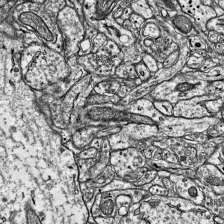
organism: Mouse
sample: Visual Cortex